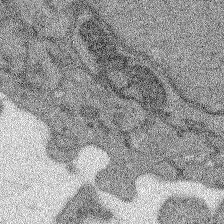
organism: Human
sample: HeLa cells